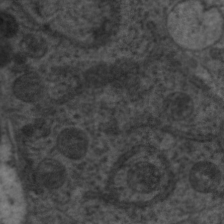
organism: C. elegans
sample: Pharynx